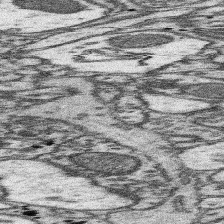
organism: Mouse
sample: Somatosensory cortex neuropil